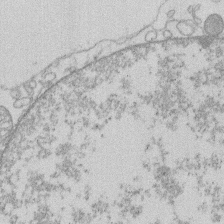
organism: Human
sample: Macrophage cells